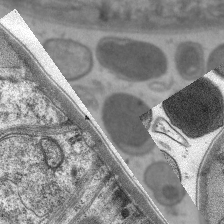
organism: C. elegans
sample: Pharynx